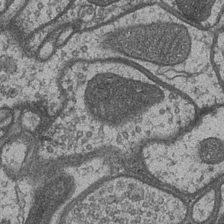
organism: Drosophila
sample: Optic medulla